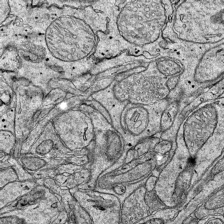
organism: Mouse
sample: Visual Cortex